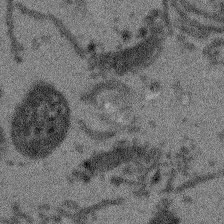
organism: Arabidopsis thaliana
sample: Root tip